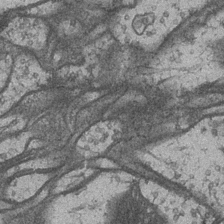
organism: Drosophila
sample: Optic medulla